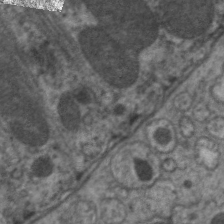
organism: C. elegans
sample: Pharynx